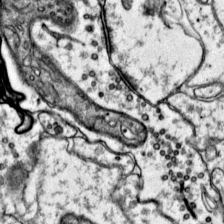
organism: Mouse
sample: Primary visual cortex